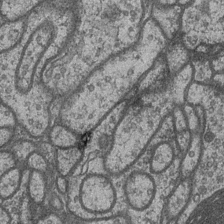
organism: Drosophila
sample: Optic medulla